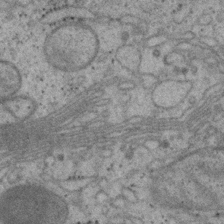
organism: Human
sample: HeLa cells